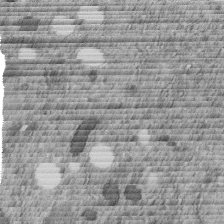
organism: C. elegans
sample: C. elegans embryo early stage